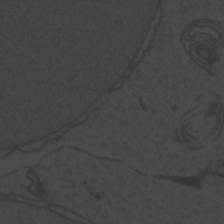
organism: Zebrafish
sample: Macrophage infected with Toxoplasma gondii